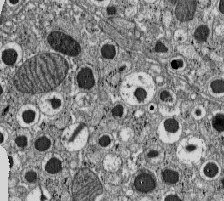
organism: C57BL Mouse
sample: Pancreatic islet